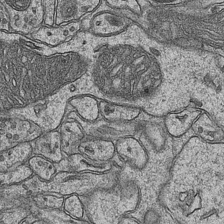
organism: Mouse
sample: CA1 Hippocampus